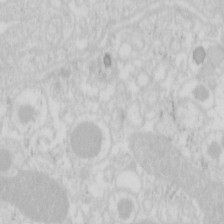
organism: Mouse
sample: Pancreas